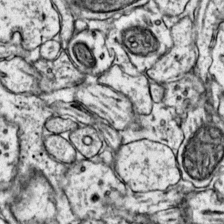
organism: Mouse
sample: Primary visual cortex